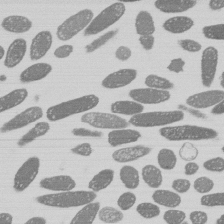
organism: E. coli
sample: Bacterial nucleoid